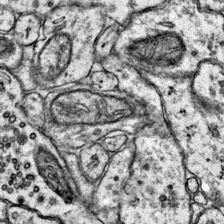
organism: Mouse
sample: Primary visual cortex